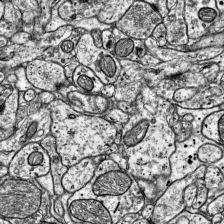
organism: Mouse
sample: Visual Cortex